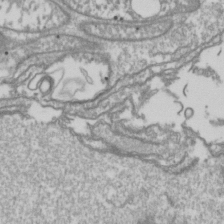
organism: Drosophila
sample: Cell division; meiosis; drosophila spermatocytes